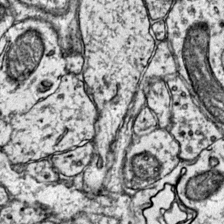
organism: Mouse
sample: Primary visual cortex